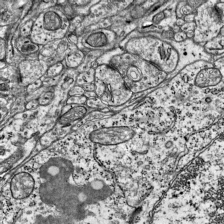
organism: Mouse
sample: Visual Cortex